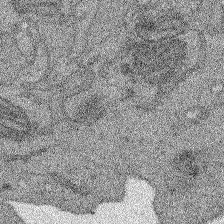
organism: Human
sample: HeLa cells